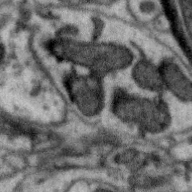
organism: Zebra finch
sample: Brain